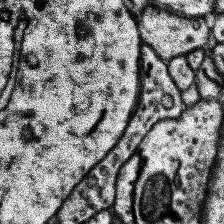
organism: Human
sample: Temporal Lobe